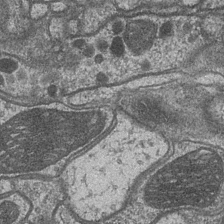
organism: Drosophila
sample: Optic medulla